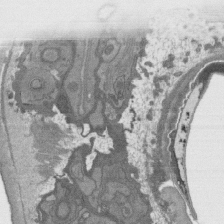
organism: C. elegans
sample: AFD neurons C. elegans